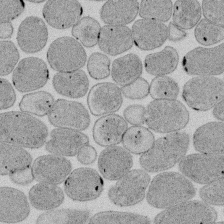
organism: E. coli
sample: Bacterial nucleoid